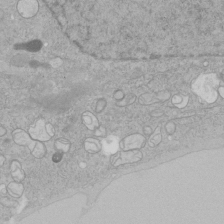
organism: Human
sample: Mitochondria in HCT116 cells